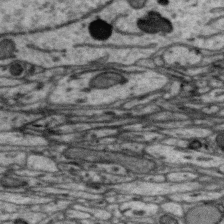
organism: Zebra finch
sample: Brain